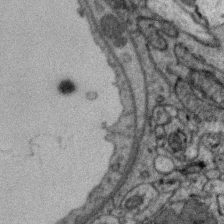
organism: Zebra finch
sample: Brain